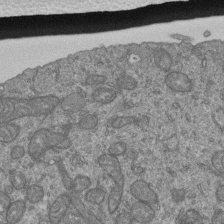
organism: Human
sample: Retinal organoid Rod and Cone cells